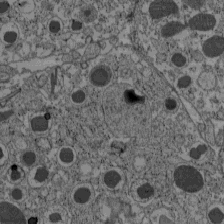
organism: C57BL Mouse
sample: Pancreatic islet